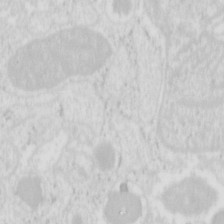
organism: Mouse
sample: Pancreas